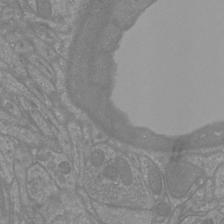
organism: Mouse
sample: Cortical neurons